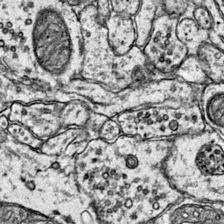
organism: Mouse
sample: Primary visual cortex